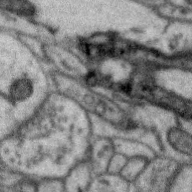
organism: Zebra finch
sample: Brain